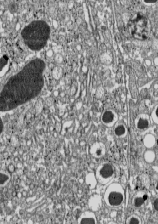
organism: C57BL Mouse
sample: Pancreatic islet